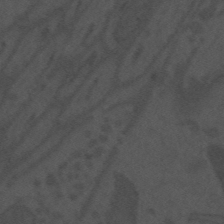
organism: Mouse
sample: Suprachiasmatic nucleus